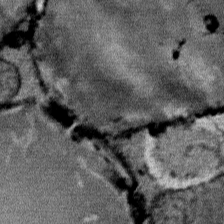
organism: Mouse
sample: Mouse Salivary gland